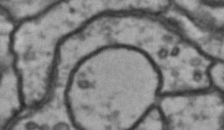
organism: Drosophila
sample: Brain